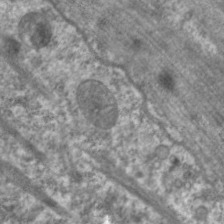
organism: C. elegans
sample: Pharynx